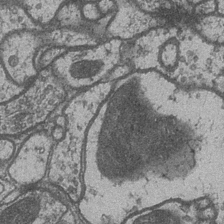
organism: Drosophila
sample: Optic medulla